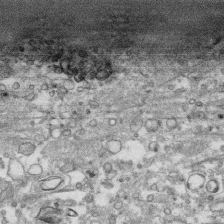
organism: Human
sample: CRL-1474